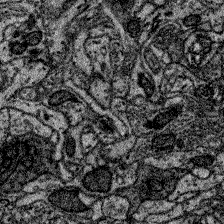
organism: Zebrafish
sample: Larval olfactory bulb